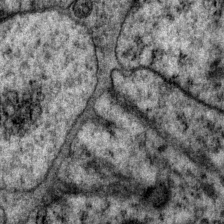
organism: P. pacificus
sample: Pharynx